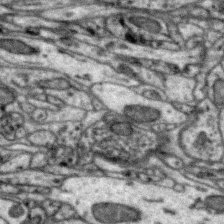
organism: Zebra finch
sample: Brain